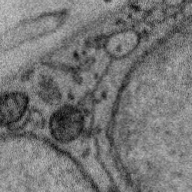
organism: Zebra finch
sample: Brain